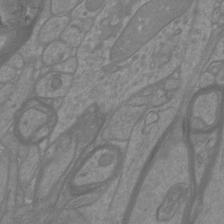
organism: Mouse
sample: Cortical neurons